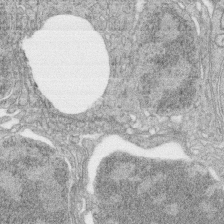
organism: Zebrafish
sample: synaptic ribbons in rod cells and cone cells